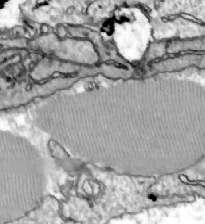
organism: Zebrafish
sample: Actinotrichia fibers